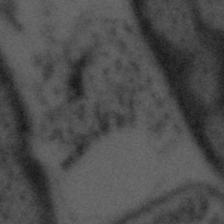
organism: Tuwongella immobilis